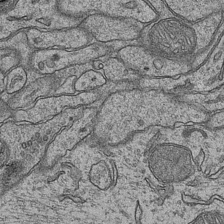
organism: Mouse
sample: CA1 Hippocampus